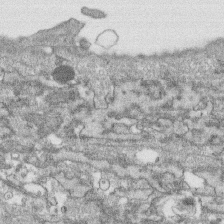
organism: Human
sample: CRL-1474